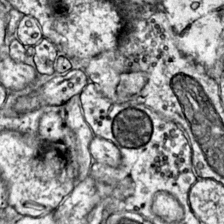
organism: Mouse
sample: Primary visual cortex